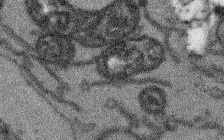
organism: Arabidopsis thaliana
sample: Root tip